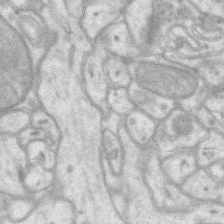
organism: Mouse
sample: CA1 Hippocampus